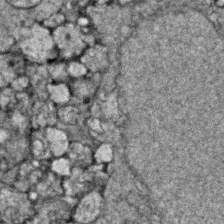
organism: Zebrafish